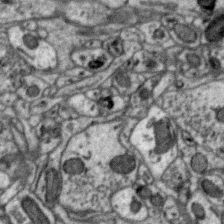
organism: Zebra finch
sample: Brain